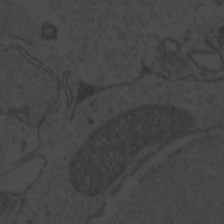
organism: Zebrafish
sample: Macrophage infected with Toxoplasma gondii